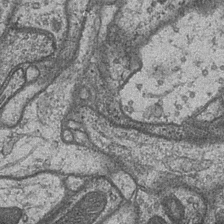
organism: Drosophila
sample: Optic medulla